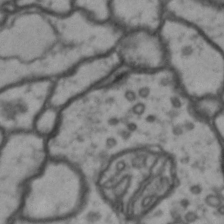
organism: Drosophila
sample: Brain